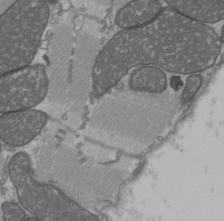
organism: C57BL Mouse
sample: Heart